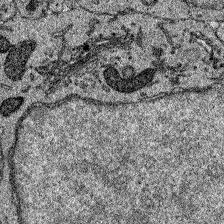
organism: Zebrafish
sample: Larval olfactory bulb